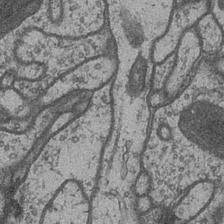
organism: Drosophila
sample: Optic medulla